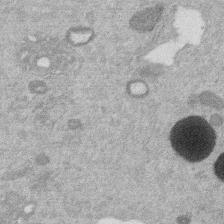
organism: Mouse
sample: Dividing mouse embryo 1 cell stage